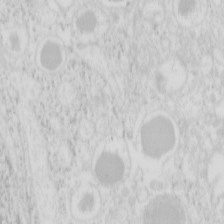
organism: Mouse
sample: Pancreas